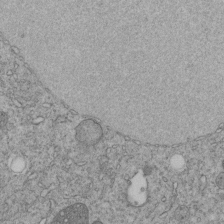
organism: C. elegans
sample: C. elegans embryo early stage